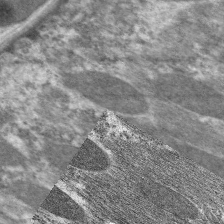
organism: C. elegans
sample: Pharynx